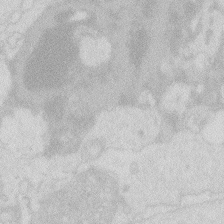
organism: Zebrafish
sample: Macrophage